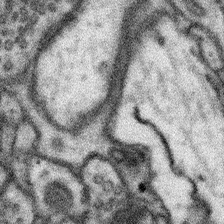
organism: Mouse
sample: Somatosensory cortex neuropil